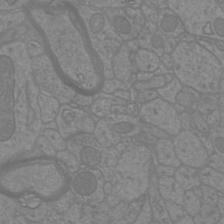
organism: Mouse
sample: Cortical neurons